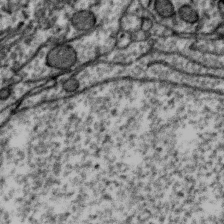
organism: Zebra finch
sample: Brain